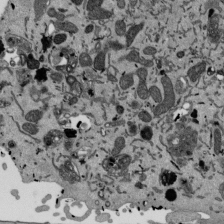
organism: Mouse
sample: ED-1 cell nuclei; centrioles